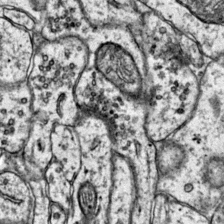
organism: Mouse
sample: Primary visual cortex